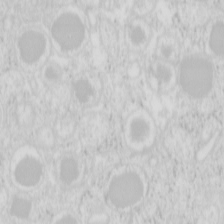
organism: Mouse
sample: Pancreas